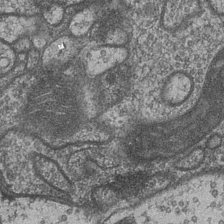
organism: Drosophila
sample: Optic medulla